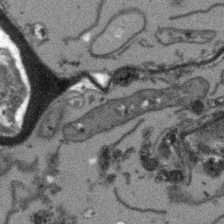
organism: Arabidopsis thaliana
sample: Root tip